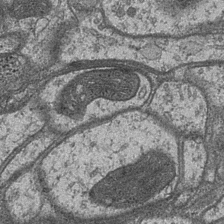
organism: Drosophila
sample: Optic medulla